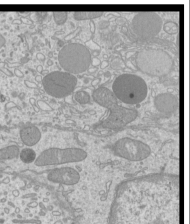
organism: Mouse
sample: Cilia; mouse epididymis